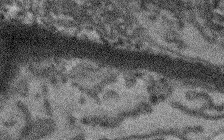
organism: Arabidopsis thaliana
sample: Root tip